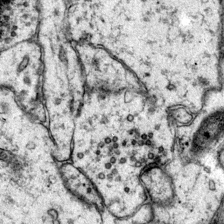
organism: Mouse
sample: Primary visual cortex